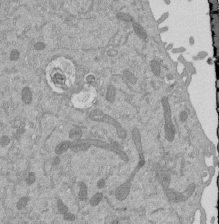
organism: Mouse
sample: ED-1 cell nuclei; centrioles